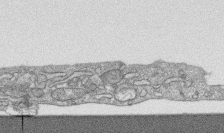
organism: Human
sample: CRL-1474